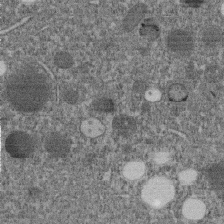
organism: C. elegans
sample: C. elegans embryo early stage